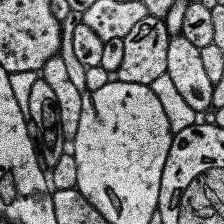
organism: Human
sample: Temporal Lobe